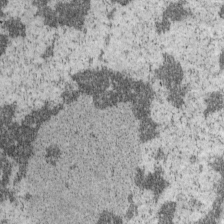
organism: Mouse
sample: OT-I killer T cells with ID8 ovarian cancer cells